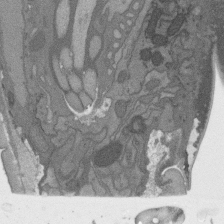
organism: C. elegans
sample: AFD neurons C. elegans